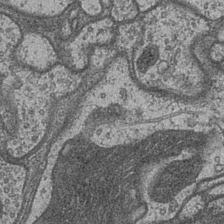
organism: Drosophila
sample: Optic medulla